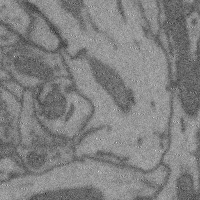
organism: Mouse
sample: Cerebral cortex